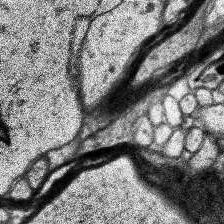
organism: Human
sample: Temporal Lobe